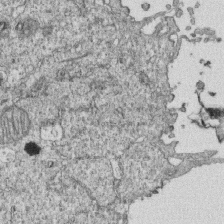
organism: Human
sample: HeLa cell HIV synapse